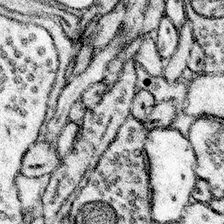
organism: Mouse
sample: Somatosensory cortex neuropil